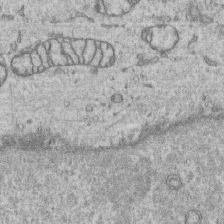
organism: Human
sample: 1205lu cells